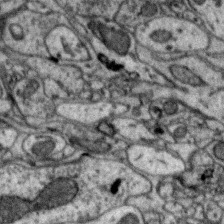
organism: Zebra finch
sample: Brain